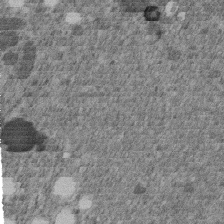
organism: C. elegans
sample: C. elegans embryo early stage